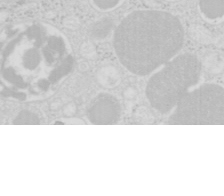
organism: Mouse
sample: Pancreas